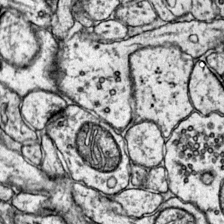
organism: Mouse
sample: Primary visual cortex